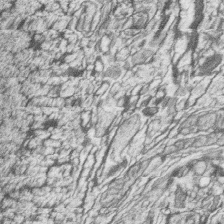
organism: Zebrafish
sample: synaptic ribbons in rod cells and cone cells